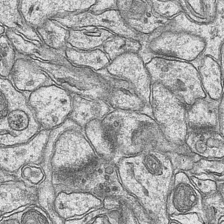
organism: Mouse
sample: CA1 Hippocampus